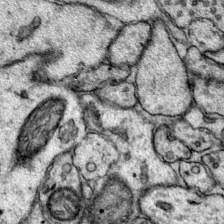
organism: Mouse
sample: Primary visual cortex